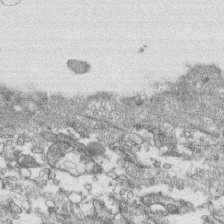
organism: Human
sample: CRL-1474